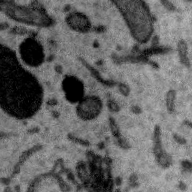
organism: Zebra finch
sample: Brain